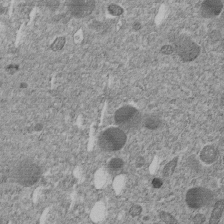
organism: C. elegans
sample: C. elegans embryo early stage